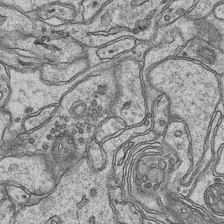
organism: Mouse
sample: CA1 Hippocampus